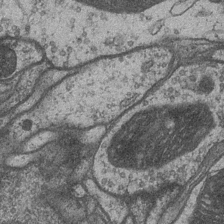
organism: Drosophila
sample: Optic medulla